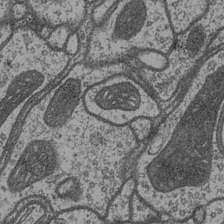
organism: Drosophila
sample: Optic medulla